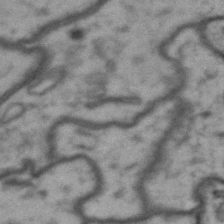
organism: Drosophila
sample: Brain